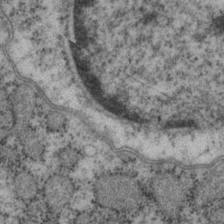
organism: P. pacificus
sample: Pharynx